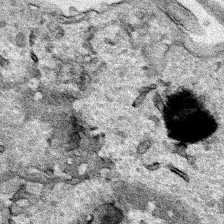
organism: Human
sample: Mitochondria in HCT116 cells